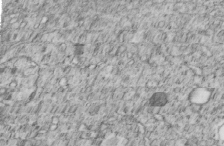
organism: C. elegans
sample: C. elegans embryo early stage